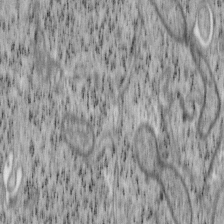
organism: Human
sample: HeLa cells